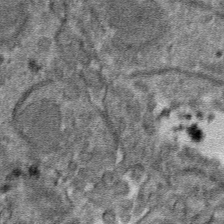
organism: Mouse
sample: Mouse hepatocytes